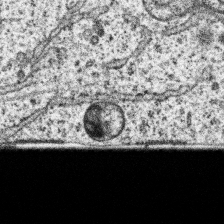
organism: Human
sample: HeLa cells